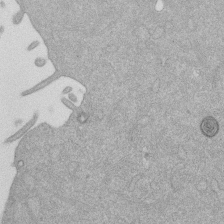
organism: Mouse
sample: Dividing mouse embryo 1 cell stage